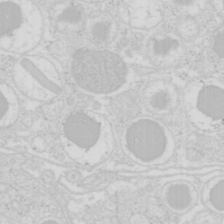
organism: Mouse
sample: Pancreas